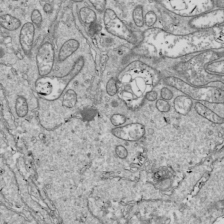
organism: Drosophila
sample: Cell division; meiosis; drosophila spermatocytes